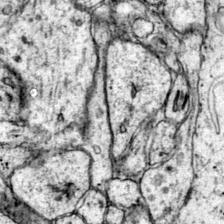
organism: Mouse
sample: Primary visual cortex